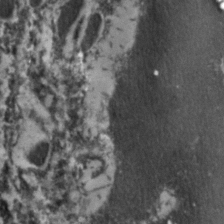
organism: Zebrafish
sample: Zebrafish embryo